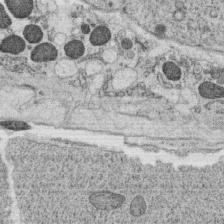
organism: C. elegans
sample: C. elegans oocyte; sperm cells